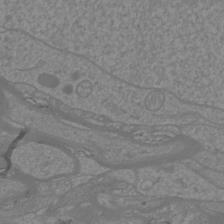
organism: Mouse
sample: Cortical neurons